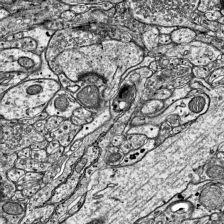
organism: Mouse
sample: Visual Cortex